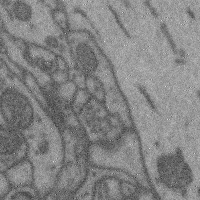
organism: Mouse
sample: Cerebral cortex